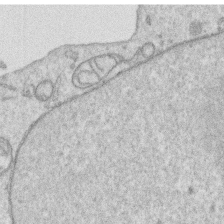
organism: Human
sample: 1205lu cells